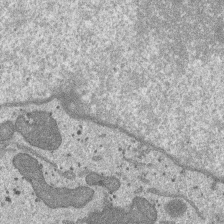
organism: Human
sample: Lung epithelial cells infected with SARS-CoV-2